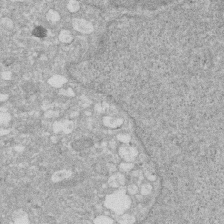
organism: Human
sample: HIV infected U937 cells